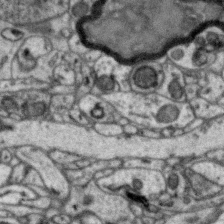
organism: Zebra finch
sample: Brain